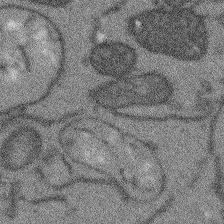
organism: Arabidopsis thaliana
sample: Root tip